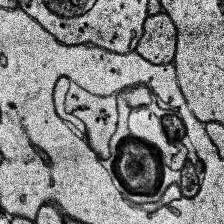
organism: Human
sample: Temporal Lobe